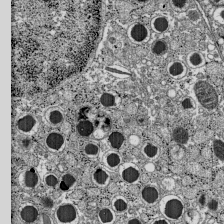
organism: C57BL Mouse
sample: Pancreatic islet